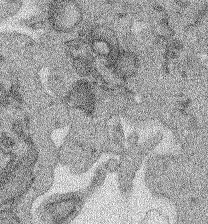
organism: Human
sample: HeLa cells